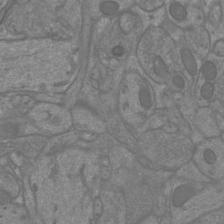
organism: Mouse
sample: Cortical neurons